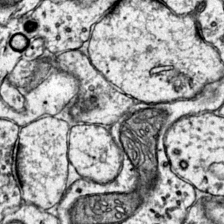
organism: Mouse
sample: Primary visual cortex